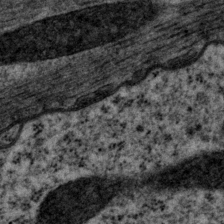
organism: P. pacificus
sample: Pharynx